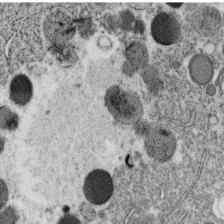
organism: C. elegans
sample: C. elegans oocyte; sperm cells